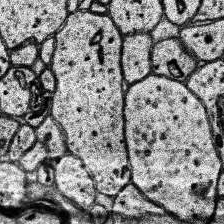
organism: Human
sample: Temporal Lobe